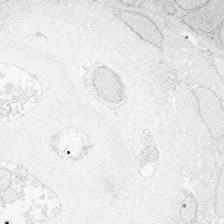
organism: Zebrafish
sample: Whole-Brain